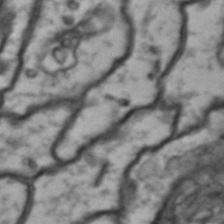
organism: Drosophila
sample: Brain